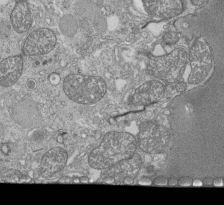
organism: Tetrahymena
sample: Cilia in tetrahymena